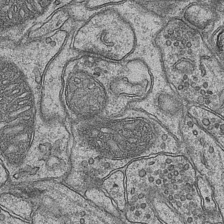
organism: Mouse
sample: CA1 Hippocampus